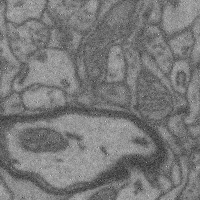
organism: Mouse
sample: Cerebral cortex